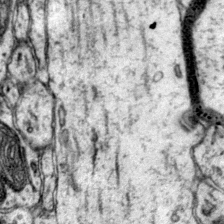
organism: Mouse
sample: Primary visual cortex